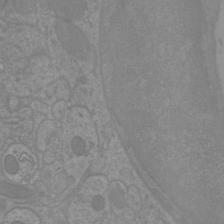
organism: Mouse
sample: Cortical neurons